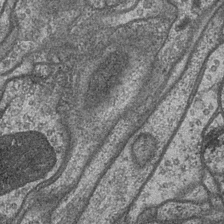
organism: Drosophila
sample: Optic medulla